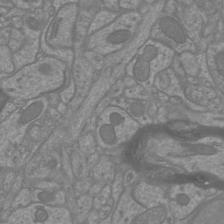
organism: Mouse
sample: Cortical neurons